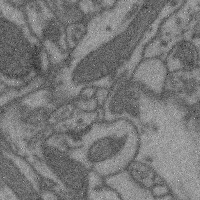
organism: Mouse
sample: Cerebral cortex